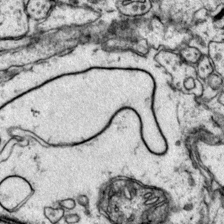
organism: Mouse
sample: Primary visual cortex